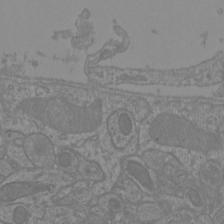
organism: Mouse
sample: Cortical neurons